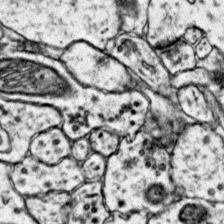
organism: Mouse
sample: Primary visual cortex